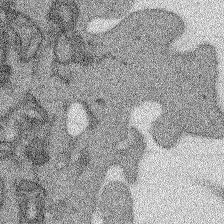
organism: Human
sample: HeLa cells